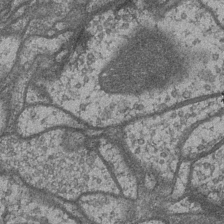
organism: Drosophila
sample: Optic medulla